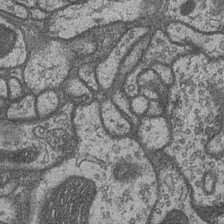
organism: Drosophila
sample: Optic medulla